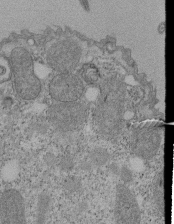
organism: Tetrahymena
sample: Cilia in tetrahymena